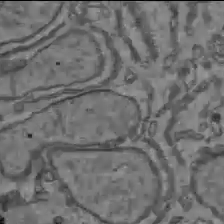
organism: C57BL Mouse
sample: Liver